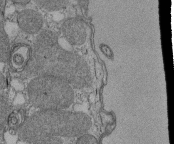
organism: Tetrahymena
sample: Cilia in tetrahymena